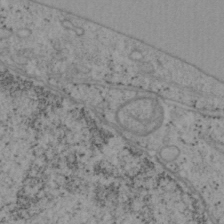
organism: Human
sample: HeLa cells